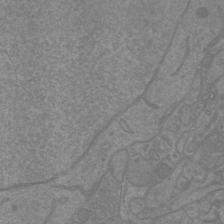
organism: Mouse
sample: Cortical neurons